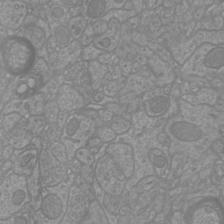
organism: Mouse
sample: Cortical neurons